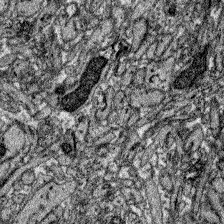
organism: Zebrafish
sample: Larval olfactory bulb